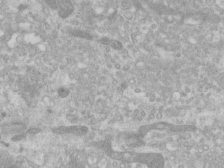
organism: Human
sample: Centriole in RPE cells